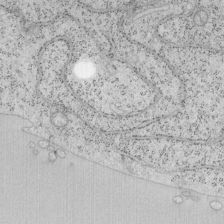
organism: Mouse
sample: OT-I killer T cells with ID8 ovarian cancer cells